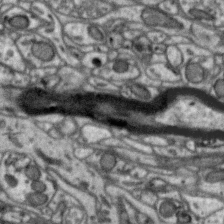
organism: Zebra finch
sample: Brain